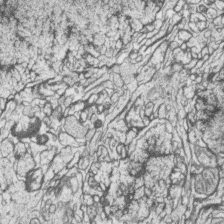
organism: Zebrafish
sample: synaptic ribbons in rod cells and cone cells